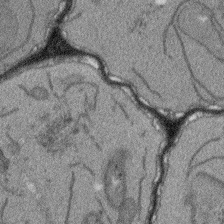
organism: Arabidopsis thaliana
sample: Root tip